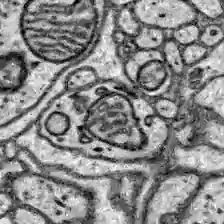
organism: Zebrafish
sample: Brain